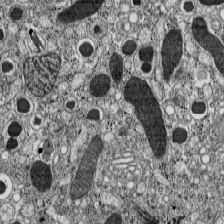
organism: C57BL Mouse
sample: Pancreatic islet